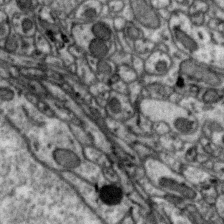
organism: Zebra finch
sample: Brain